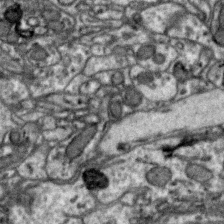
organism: Zebra finch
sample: Brain